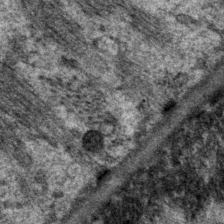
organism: P. pacificus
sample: Pharynx